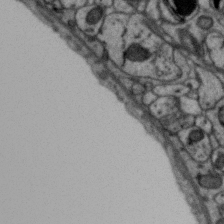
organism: Zebra finch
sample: Brain